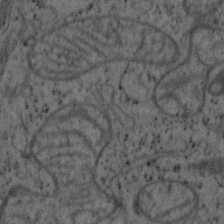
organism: Human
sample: HeLa cells